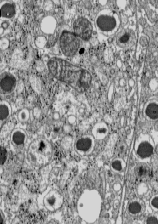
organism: C57BL Mouse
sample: Pancreatic islet